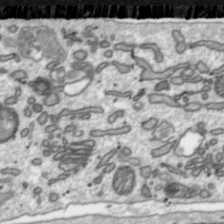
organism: Toxoplasma gondii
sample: Parasites in a vacuole inside a host cell